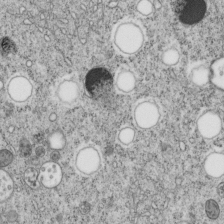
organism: C. elegans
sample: C. elegans embryo early stage